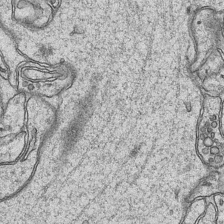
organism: Mouse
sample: CA1 Hippocampus